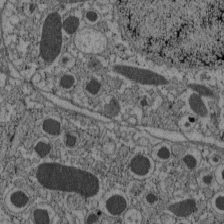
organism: C57BL Mouse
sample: Pancreatic islet